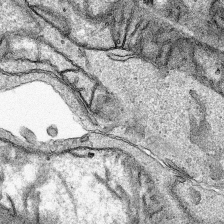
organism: Human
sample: Mitochondria in HCT116 cells